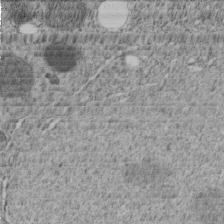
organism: C. elegans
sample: C. elegans embryo early stage